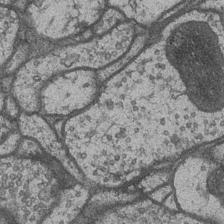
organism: Drosophila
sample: Optic medulla